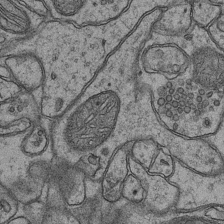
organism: Mouse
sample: CA1 Hippocampus